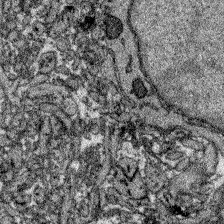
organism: Zebrafish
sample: Larval olfactory bulb